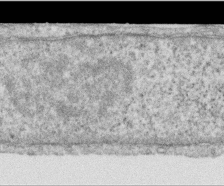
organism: Human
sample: Centriole in RPE cells